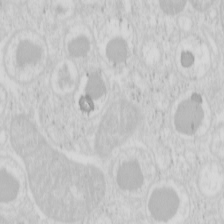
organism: Mouse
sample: Pancreas